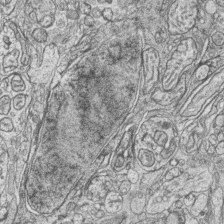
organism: Zebrafish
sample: synaptic ribbons in rod cells and cone cells